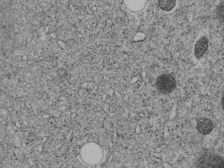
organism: C. elegans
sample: C. elegans embryo early stage